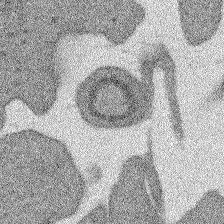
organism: Human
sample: HeLa cells